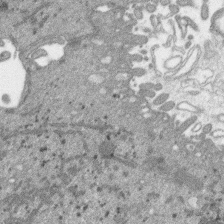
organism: Human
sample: Lung epithelial cells infected with SARS-CoV-2